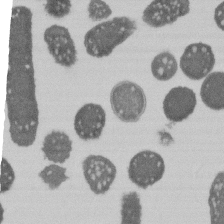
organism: E. coli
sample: Bacterial nucleoid